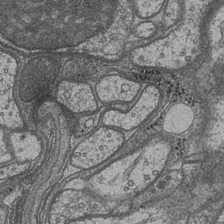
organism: Drosophila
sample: Optic medulla